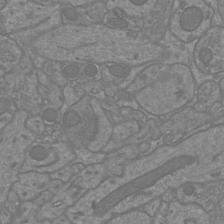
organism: Mouse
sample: Cortical neurons